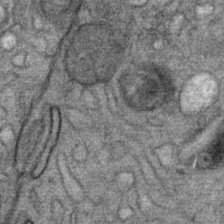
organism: Mouse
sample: Mouse Salivary gland